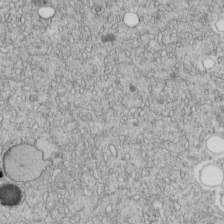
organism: C. elegans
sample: C. elegans embryo early stage